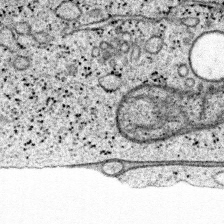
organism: Human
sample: HeLa cells